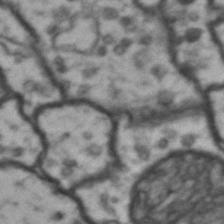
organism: Drosophila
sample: Brain